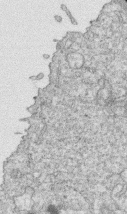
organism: Human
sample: HeLa cell HIV synapse